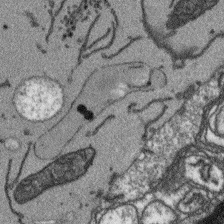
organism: Arabidopsis thaliana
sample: Root tip